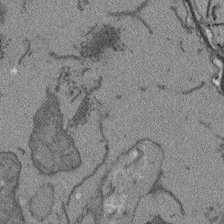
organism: Arabidopsis thaliana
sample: Root tip